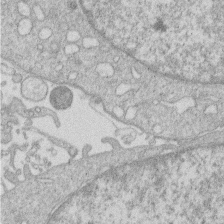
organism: Human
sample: Macrophage cells